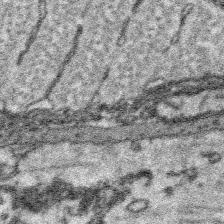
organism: Platynereis dumerilii